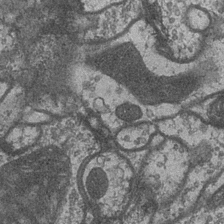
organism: Drosophila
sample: Optic medulla